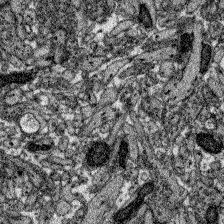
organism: Zebrafish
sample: Larval olfactory bulb